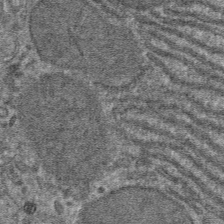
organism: Mouse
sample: Mouse hepatocytes